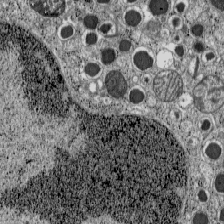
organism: C57BL Mouse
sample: Pancreatic islet